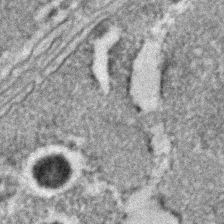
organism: C. elegans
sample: C. elegans embryo